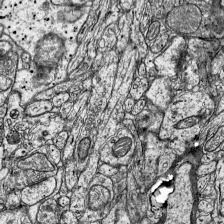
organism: Mouse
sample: Visual Cortex